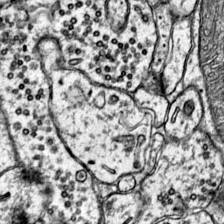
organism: Mouse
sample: Primary visual cortex